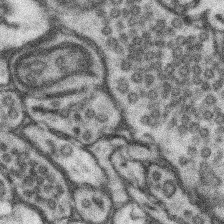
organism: Mouse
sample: Somatosensory cortex neuropil